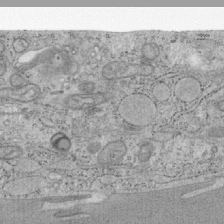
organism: Human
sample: HeLa cells